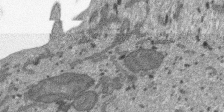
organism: Human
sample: Lung epithelial cells infected with SARS-CoV-2